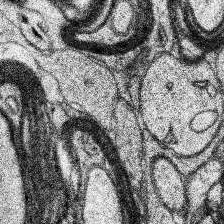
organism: Human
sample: Temporal Lobe